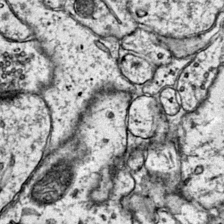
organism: Mouse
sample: Primary visual cortex